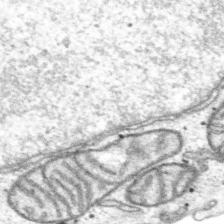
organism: Human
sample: HeLa cells